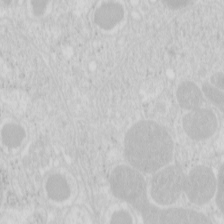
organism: Mouse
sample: Pancreas